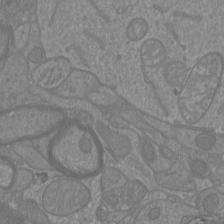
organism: Mouse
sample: Cortical neurons